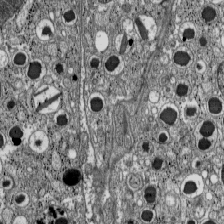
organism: C57BL Mouse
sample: Pancreatic islet